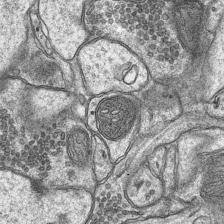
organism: Mouse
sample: CA1 Hippocampus